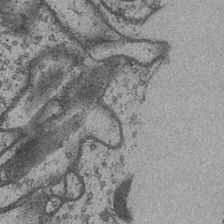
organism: Drosophila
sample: Optic medulla